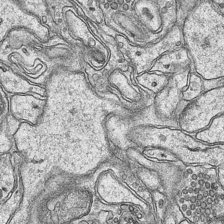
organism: Mouse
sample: CA1 Hippocampus